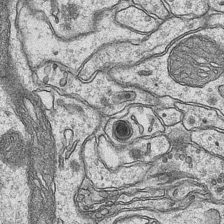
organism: Mouse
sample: CA1 Hippocampus